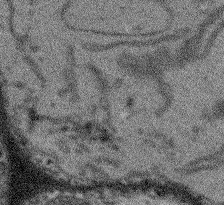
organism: Arabidopsis thaliana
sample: Root tip